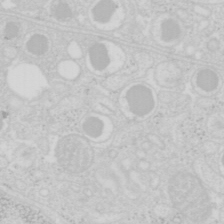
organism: Mouse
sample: Pancreas